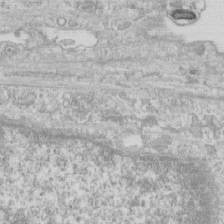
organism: Human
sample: CRL-1474